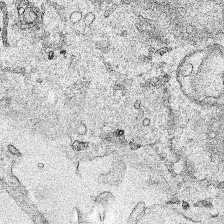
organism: Human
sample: Mitochondria in HCT116 cells